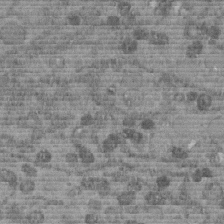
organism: C. elegans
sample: C. elegans embryo early stage